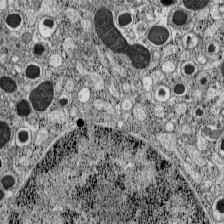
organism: C57BL Mouse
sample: Pancreatic islet